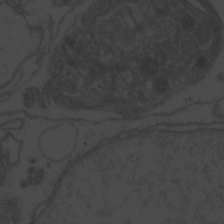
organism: Zebrafish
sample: Macrophage infected with Toxoplasma gondii